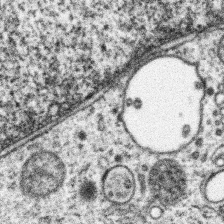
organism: Human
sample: HeLa cells